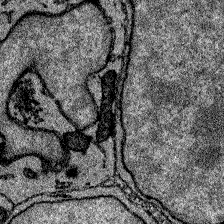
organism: Zebrafish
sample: Larval olfactory bulb